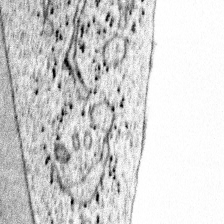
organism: Human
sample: HeLa cells